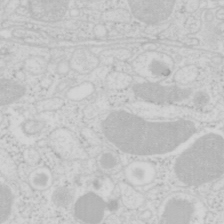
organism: Mouse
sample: Pancreas